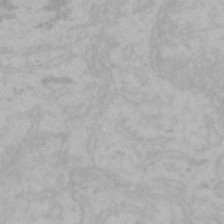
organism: Mouse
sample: Choroid plexus